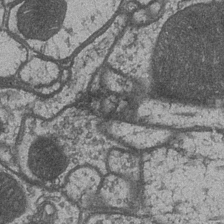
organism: Drosophila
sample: Optic medulla